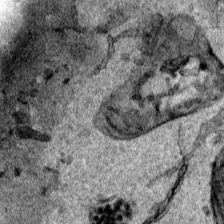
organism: Human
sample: Mitochondria in HCT116 cells